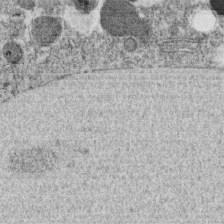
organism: C. elegans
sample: C. elegans oocyte; sperm cells